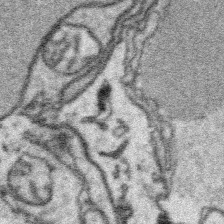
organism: Platynereis dumerilii